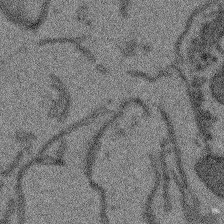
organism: Arabidopsis thaliana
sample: Root tip